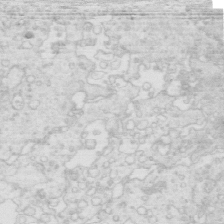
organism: Mouse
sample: Multiciliated cells